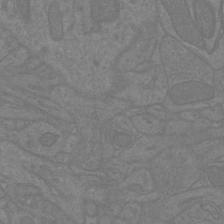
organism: Mouse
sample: Cortical neurons